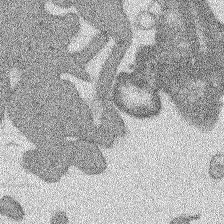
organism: Human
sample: HeLa cells